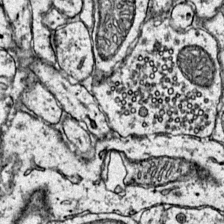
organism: Mouse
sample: Primary visual cortex